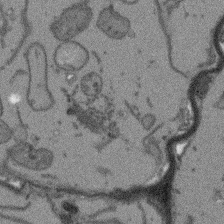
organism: Arabidopsis thaliana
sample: Root tip